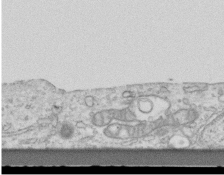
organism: Mouse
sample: Centriole in ependymal cells